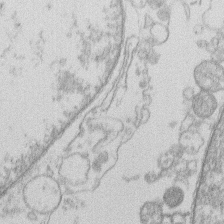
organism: Human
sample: Macrophage cells